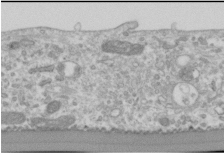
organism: Human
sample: Cilia; basal body in RPE cells